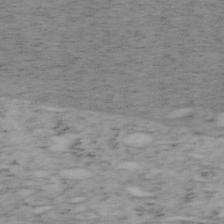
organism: Mouse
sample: OT-I killer T cells with ID8 ovarian cancer cells